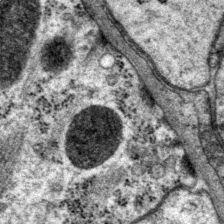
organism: P. pacificus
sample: Pharynx